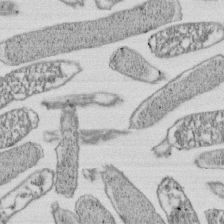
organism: E. coli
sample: Bacterial nucleoid